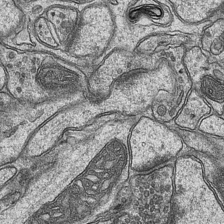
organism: Mouse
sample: CA1 Hippocampus